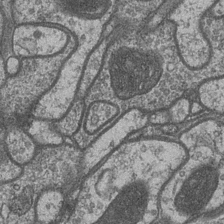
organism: Drosophila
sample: Optic medulla